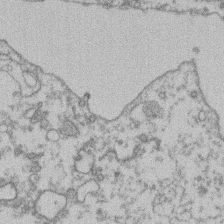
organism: Mouse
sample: T cell stromal cell synapse